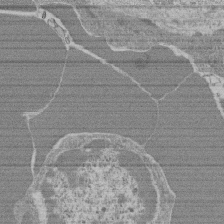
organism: Mouse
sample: Glomerulus